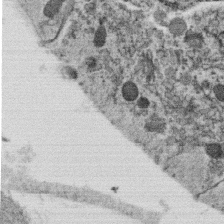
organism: C. elegans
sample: C. elegans oocyte; sperm cells